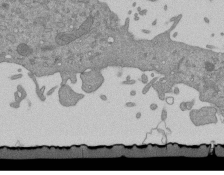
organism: Mouse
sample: ED-1 cell nuclei; centrioles